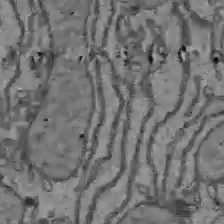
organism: C57BL Mouse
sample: Liver